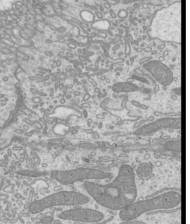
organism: Mouse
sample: Cilia; mouse epididymis